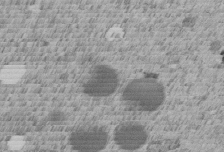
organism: C. elegans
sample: C. elegans embryo early stage